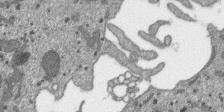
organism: Human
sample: Lung epithelial cells infected with SARS-CoV-2